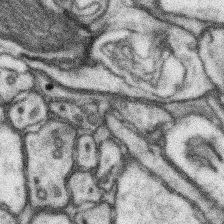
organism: Mouse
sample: Somatosensory cortex neuropil